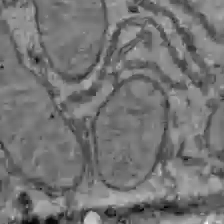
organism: C57BL Mouse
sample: Liver